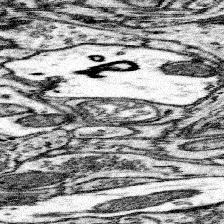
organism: Mouse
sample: Somatosensory cortex neuropil